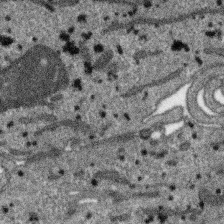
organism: Human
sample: Lung epithelial cells infected with SARS-CoV-2